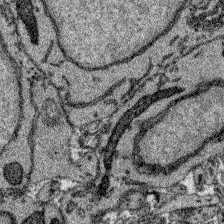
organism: Zebrafish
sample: Larval olfactory bulb